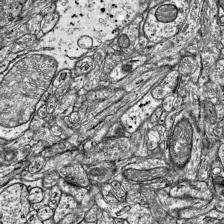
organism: Mouse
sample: Visual Cortex